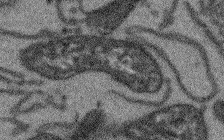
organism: Arabidopsis thaliana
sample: Root tip